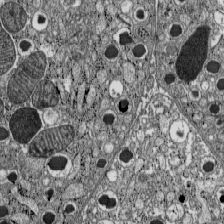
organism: C57BL Mouse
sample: Pancreatic islet